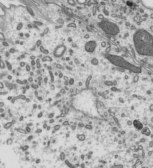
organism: Mouse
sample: Mouse epididymis efferent ductule cilia